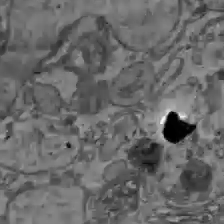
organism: C57BL Mouse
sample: Liver